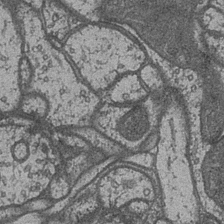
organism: Drosophila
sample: Optic medulla